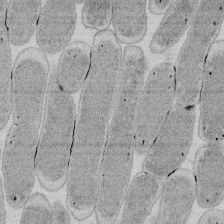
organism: E. coli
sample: Bacterial nucleoid